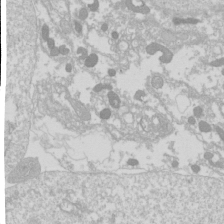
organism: Drosophila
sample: Cell division; meiosis; drosophila spermatocytes